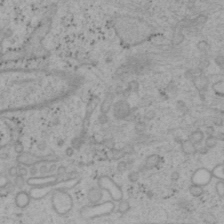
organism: Human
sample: HeLa cells